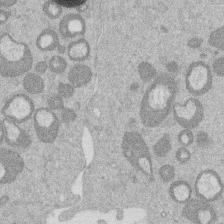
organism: Mouse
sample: Dividing mouse embryo 1 cell stage